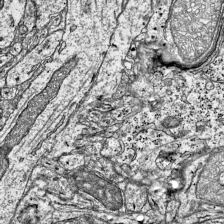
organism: Mouse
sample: Visual Cortex